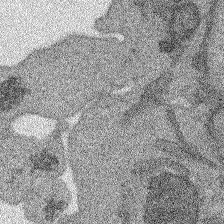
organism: Human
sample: HeLa cells